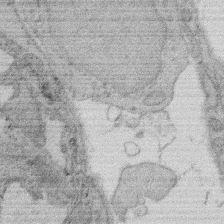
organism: Rat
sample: Salivary granule